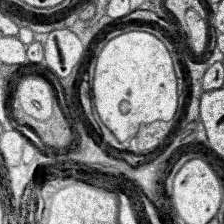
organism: Human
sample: Temporal Lobe